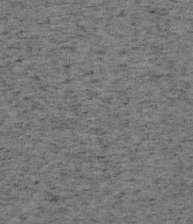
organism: Mouse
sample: OT-I killer T cells with ID8 ovarian cancer cells